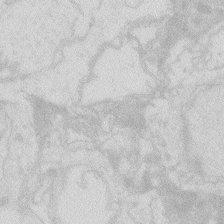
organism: Zebrafish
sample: Macrophage